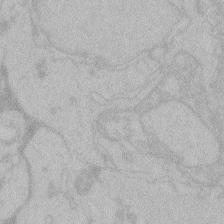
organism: Zebrafish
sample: Macrophage infected with Toxoplasma gondii